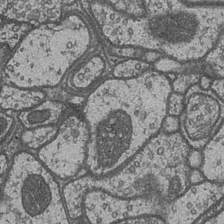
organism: Drosophila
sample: Optic medulla